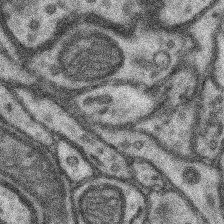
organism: Mouse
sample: Somatosensory cortex neuropil